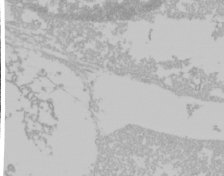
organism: Mouse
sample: Cancer cell death in ED-1 cells